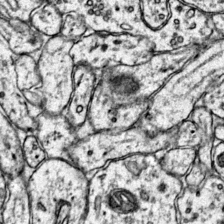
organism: Mouse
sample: Primary visual cortex